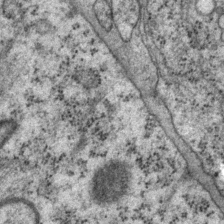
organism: P. pacificus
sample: Pharynx